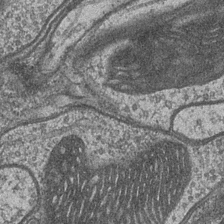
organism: Drosophila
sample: Optic medulla